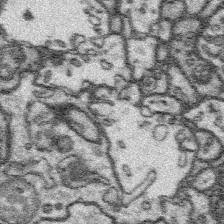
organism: Platynereis dumerilii